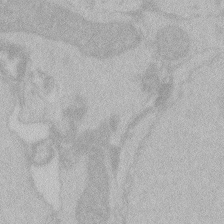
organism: Zebrafish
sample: Macrophage infected with Toxoplasma gondii